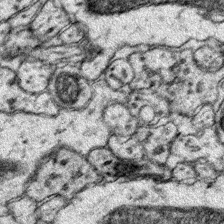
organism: Mouse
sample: Primary visual cortex